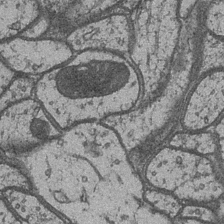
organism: Drosophila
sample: Optic medulla